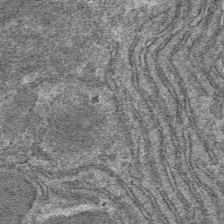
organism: Mouse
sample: Mouse hepatocytes